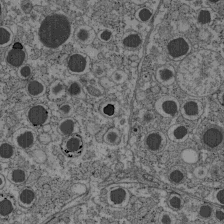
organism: C57BL Mouse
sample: Pancreatic islet